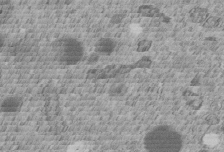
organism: C. elegans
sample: C. elegans embryo early stage